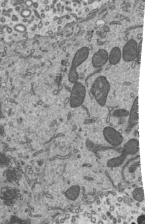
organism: Mouse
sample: Mouse epididymis efferent ductule cilia